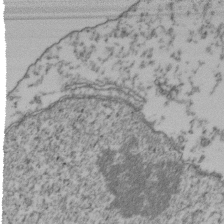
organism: Human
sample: Activated Jurkat CD4+ T cells